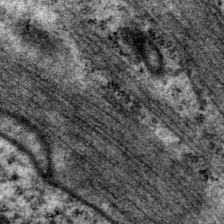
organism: P. pacificus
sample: Pharynx